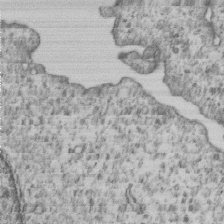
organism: Human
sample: MDA-MB-231 cells